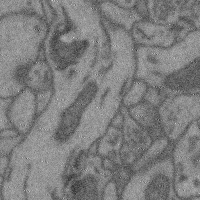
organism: Mouse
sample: Cerebral cortex